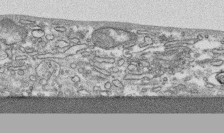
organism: Human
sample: CRL-1474